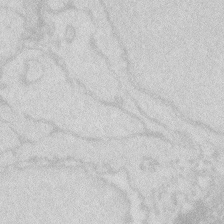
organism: Zebrafish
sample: Macrophage